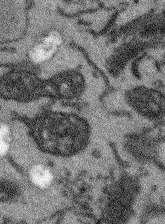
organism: Arabidopsis thaliana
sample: Root tip